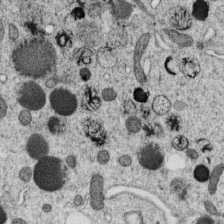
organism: C. elegans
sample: C. elegans oocyte; sperm cells